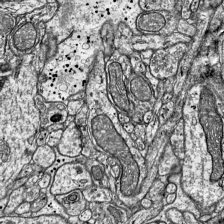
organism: Mouse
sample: Visual Cortex